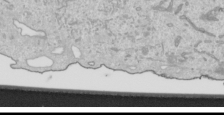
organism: Human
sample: Mitochondria in HCT116 cells